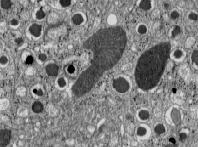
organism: C57BL Mouse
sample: Pancreatic islet